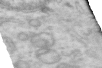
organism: Human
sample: Centriole in RPE cells